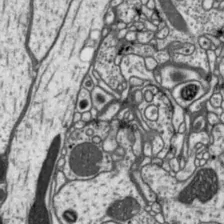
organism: Drosophila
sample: Protocerebral bridge